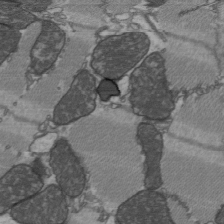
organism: C57BL Mouse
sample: Heart